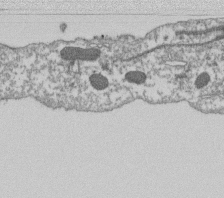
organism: Dictyostelium discoideum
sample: Dictyostelium multivesicular bodies